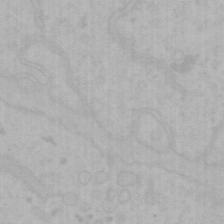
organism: Mouse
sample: Choroid plexus